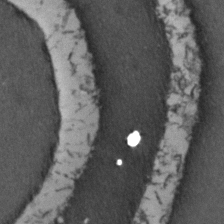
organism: Zebrafish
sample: Zebrafish embryo